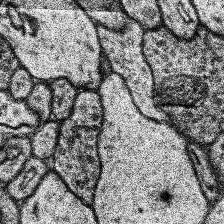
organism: Human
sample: Temporal Lobe